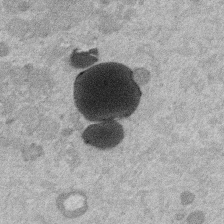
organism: Mouse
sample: Dividing mouse embryo 1 cell stage